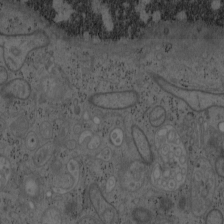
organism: Mouse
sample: OT-I killer T cells with ID8 ovarian cancer cells